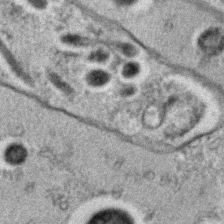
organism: C. elegans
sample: C. elegans embryo